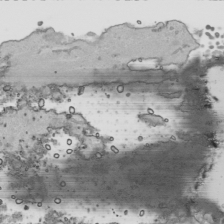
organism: Human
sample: Mitochondria in HCT116 cells